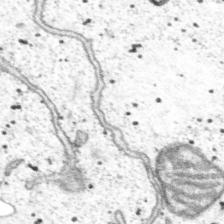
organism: Human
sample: HeLa cells